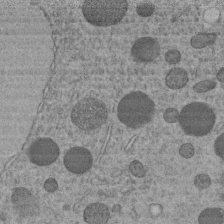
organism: C. elegans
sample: C. elegans embryo early stage